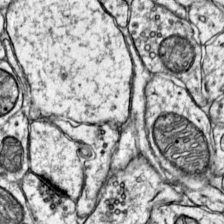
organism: Mouse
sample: Primary visual cortex